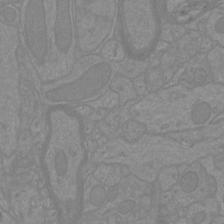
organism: Mouse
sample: Cortical neurons